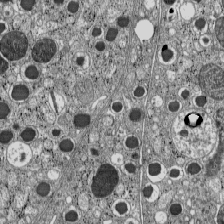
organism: C57BL Mouse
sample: Pancreatic islet